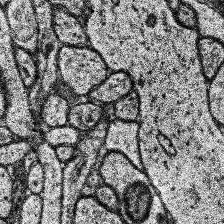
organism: Human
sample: Temporal Lobe